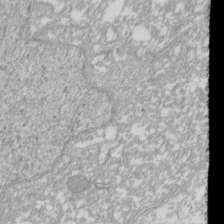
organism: Xenopus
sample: Cilia; centrioles in frog embryo cells